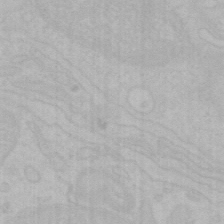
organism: Mouse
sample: Choroid plexus